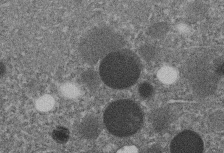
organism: C. elegans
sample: C. elegans embryo early stage